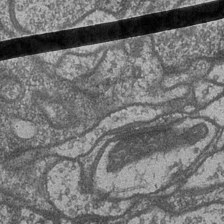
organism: Drosophila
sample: Optic medulla